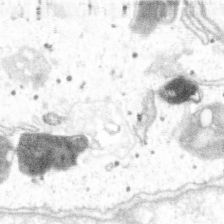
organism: Human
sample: HeLa cells